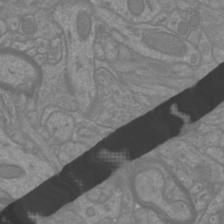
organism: Mouse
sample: Cortical neurons